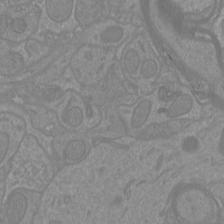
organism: Mouse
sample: Cortical neurons